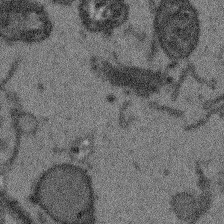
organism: Arabidopsis thaliana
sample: Root tip